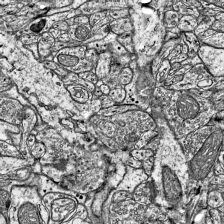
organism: Mouse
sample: Visual Cortex